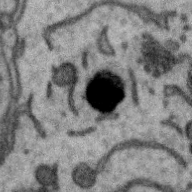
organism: Zebra finch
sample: Brain